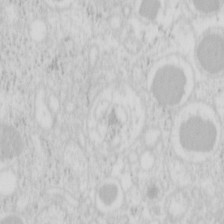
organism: Mouse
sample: Pancreas